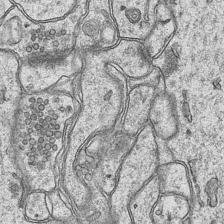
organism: Mouse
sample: CA1 Hippocampus